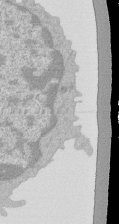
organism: Mouse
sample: Activated Pmel transgenic CD8+ T Cells